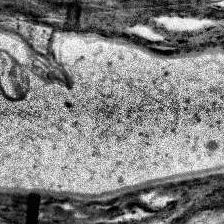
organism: Human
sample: Temporal Lobe